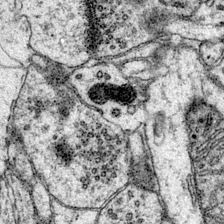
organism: Mouse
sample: Primary visual cortex